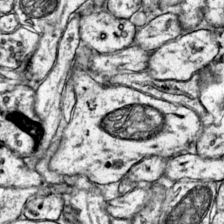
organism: Mouse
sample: Primary visual cortex